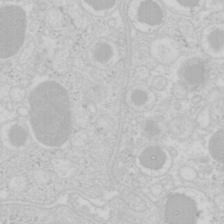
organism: Mouse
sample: Pancreas